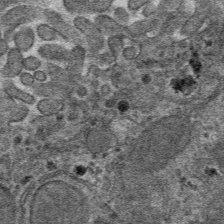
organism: Mouse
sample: Mouse hepatocytes